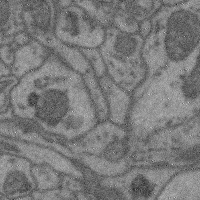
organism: Mouse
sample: Cerebral cortex